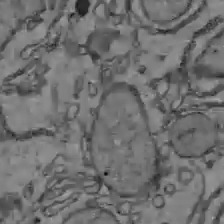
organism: C57BL Mouse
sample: Liver